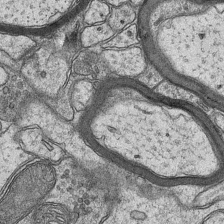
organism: Mouse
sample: CA1 Hippocampus